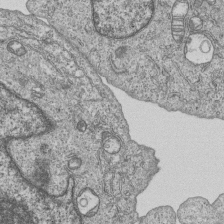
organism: Human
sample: MDA-MB-231 cells